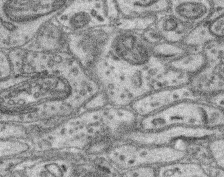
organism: Mouse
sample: Retina